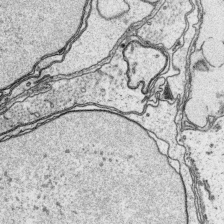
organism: Platynereis dumerilii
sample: Parapodia